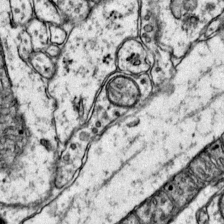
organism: Mouse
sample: Primary visual cortex